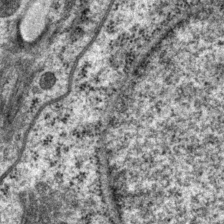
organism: P. pacificus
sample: Pharynx